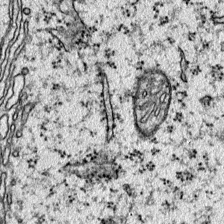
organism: Mouse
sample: Primary visual cortex